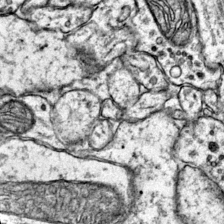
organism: Mouse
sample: Primary visual cortex